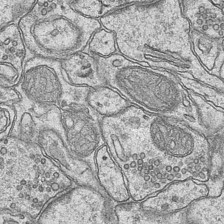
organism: Mouse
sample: CA1 Hippocampus